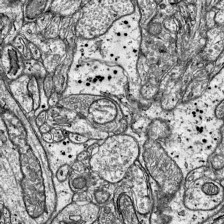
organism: Mouse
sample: Visual Cortex